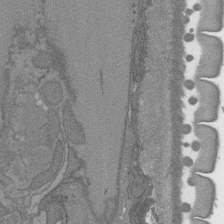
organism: C. elegans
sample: AFD neurons C. elegans